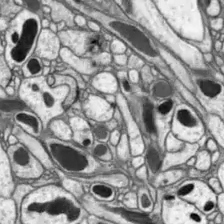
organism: Drosophila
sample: Optic lobe